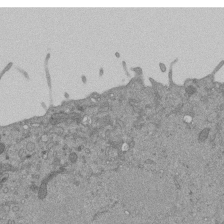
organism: Mouse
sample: ED-1 cell nuclei; centrioles